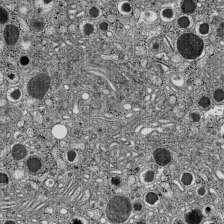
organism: C57BL Mouse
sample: Pancreatic islet